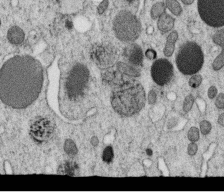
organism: C. elegans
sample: C. elegans oocyte; sperm cells